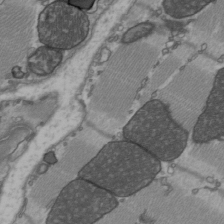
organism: C57BL Mouse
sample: Heart